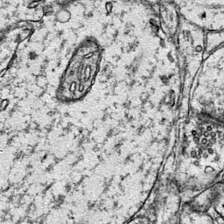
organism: Mouse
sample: Primary visual cortex